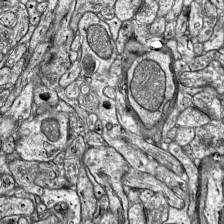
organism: Mouse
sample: Visual Cortex